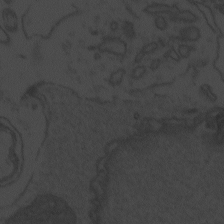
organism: Zebrafish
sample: Macrophage infected with Toxoplasma gondii